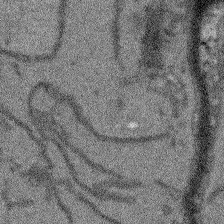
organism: Arabidopsis thaliana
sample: Root tip